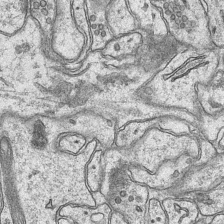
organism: Mouse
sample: CA1 Hippocampus